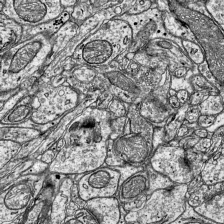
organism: Mouse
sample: Visual Cortex